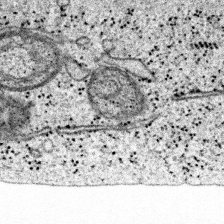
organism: Human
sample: HeLa cells